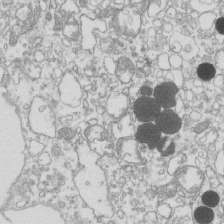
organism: Mouse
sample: Macrophages